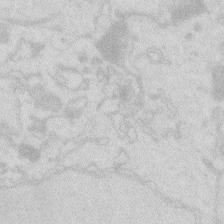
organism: Zebrafish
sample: Macrophage